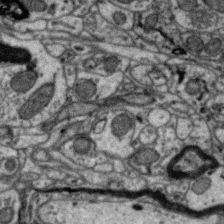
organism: Zebra finch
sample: Brain